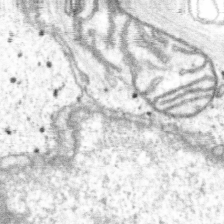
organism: Human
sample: HeLa cells